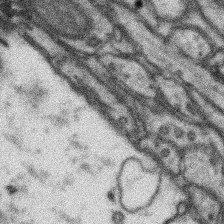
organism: Mouse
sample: Somatosensory cortex neuropil